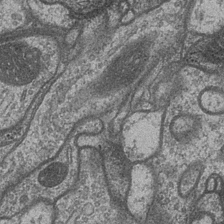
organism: Drosophila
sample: Optic medulla